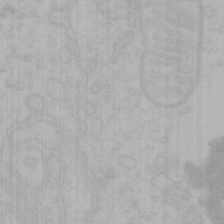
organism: Mouse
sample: Choroid plexus